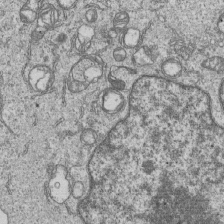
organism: Human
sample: MDA-MB-231 cells